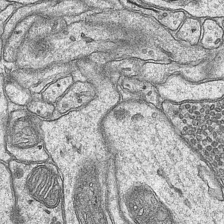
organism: Mouse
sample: CA1 Hippocampus